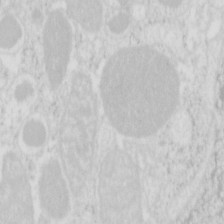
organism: Mouse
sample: Pancreas